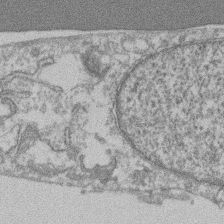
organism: Mouse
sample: T cell stromal cell synapse